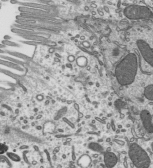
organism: Mouse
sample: Mouse epididymis efferent ductule cilia